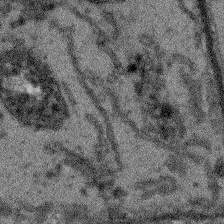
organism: Arabidopsis thaliana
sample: Root tip